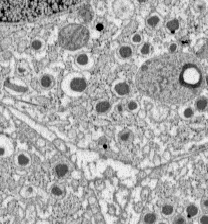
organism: C57BL Mouse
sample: Pancreatic islet